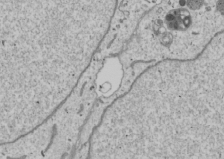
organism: Human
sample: Mitochondria in U2OS cells